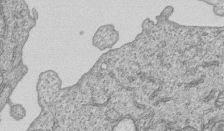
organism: Human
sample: MDA-MB-231 cells